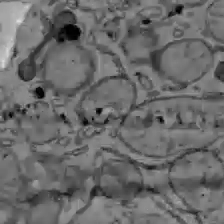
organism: C57BL Mouse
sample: Liver